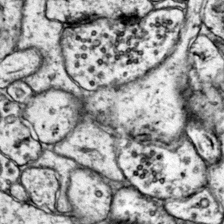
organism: Mouse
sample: Primary visual cortex